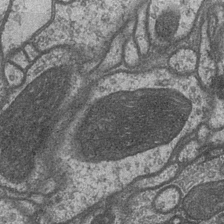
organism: Drosophila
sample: Optic medulla